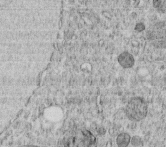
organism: C. elegans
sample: C. elegans embryo early stage